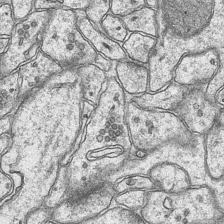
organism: Mouse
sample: CA1 Hippocampus